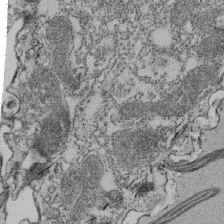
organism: Tetrahymena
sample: Cilia in tetrahymena